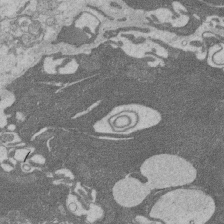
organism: Rat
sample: Salivary granule